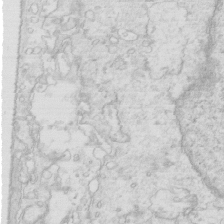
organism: Mouse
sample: Multiciliated cells